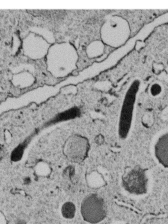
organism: C. elegans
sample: C. elegans embryo early stage